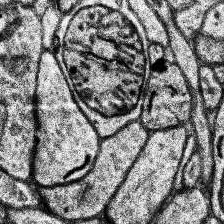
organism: Human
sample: Temporal Lobe